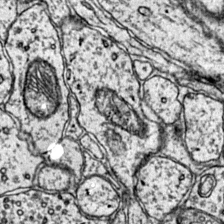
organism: Mouse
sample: Primary visual cortex